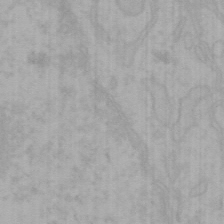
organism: Mouse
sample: Choroid plexus